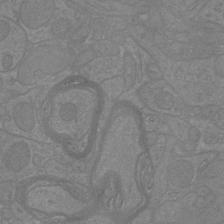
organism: Mouse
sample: Cortical neurons